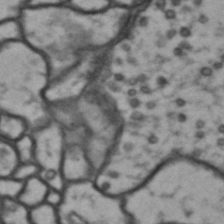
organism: Drosophila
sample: Brain